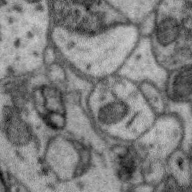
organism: Zebra finch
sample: Brain